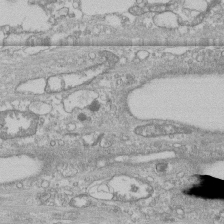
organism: Human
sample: CRL-1474